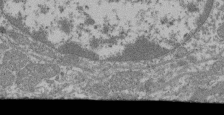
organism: Mouse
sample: Glomerulus